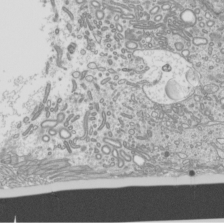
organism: Mouse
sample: Cilia; mouse epididymis